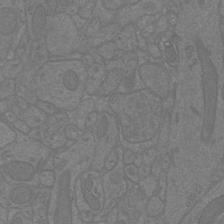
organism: Mouse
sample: Cortical neurons